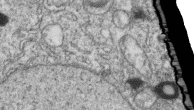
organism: Human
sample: HeLa cell HIV synapse